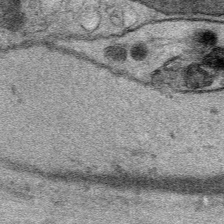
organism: Mouse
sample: Mouse Salivary gland